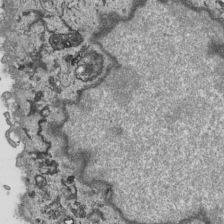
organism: Human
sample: Mitochondria in HCT116 cells